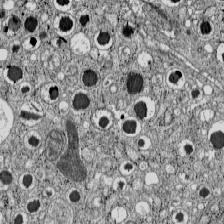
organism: C57BL Mouse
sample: Pancreatic islet